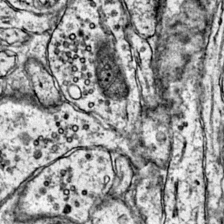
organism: Mouse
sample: Primary visual cortex